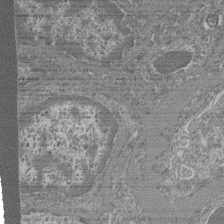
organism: Mouse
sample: Glomerulus